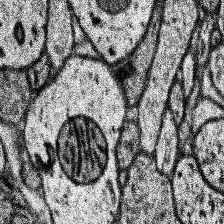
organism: Human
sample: Temporal Lobe